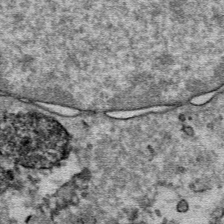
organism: Mouse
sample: Mouse Salivary gland